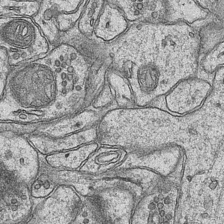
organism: Mouse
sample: CA1 Hippocampus